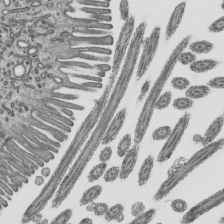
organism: Mouse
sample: Mouse epididymis efferent ductule cilia